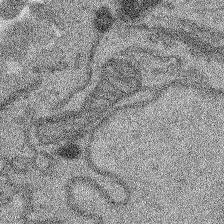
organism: Human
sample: HeLa cells